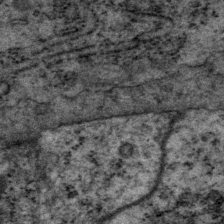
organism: P. pacificus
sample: Pharynx